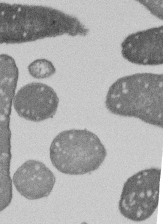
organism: E. coli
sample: Bacterial nucleoid